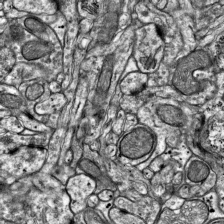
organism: Mouse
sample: Visual Cortex